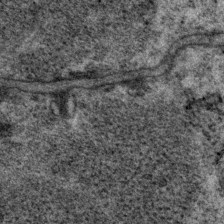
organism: P. pacificus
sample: Pharynx